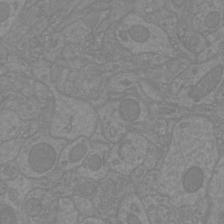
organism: Mouse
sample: Cortical neurons